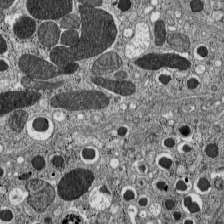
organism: C57BL Mouse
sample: Pancreatic islet